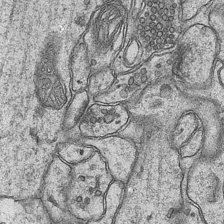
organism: Mouse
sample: CA1 Hippocampus